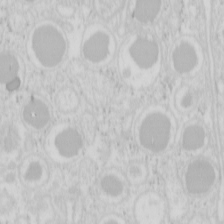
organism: Mouse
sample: Pancreas